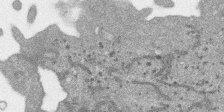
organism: Human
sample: Lung epithelial cells infected with SARS-CoV-2